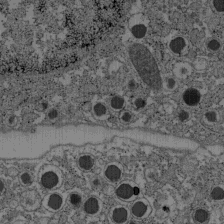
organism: C57BL Mouse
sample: Pancreatic islet